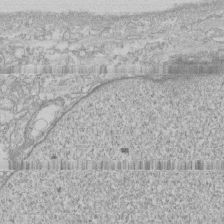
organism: Human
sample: CRL-1474